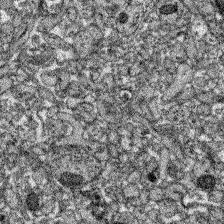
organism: Zebrafish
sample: Larval olfactory bulb